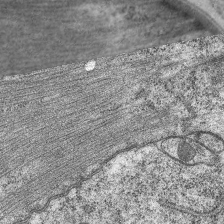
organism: C. elegans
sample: Pharynx